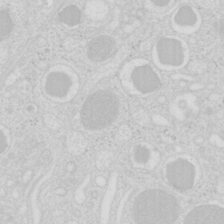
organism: Mouse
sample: Pancreas